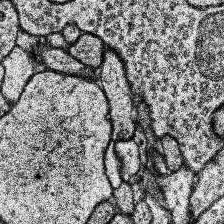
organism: Human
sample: Temporal Lobe